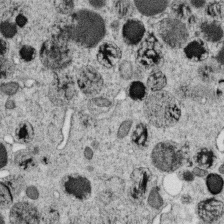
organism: C. elegans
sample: C. elegans oocyte; sperm cells